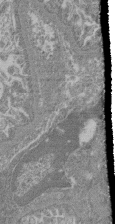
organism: Mouse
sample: Glomerulus